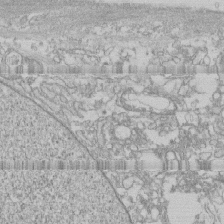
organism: Human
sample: CRL-1474